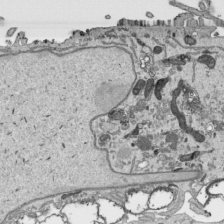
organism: Human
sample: Mitochondria in HCT116 cells